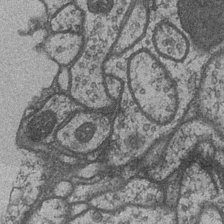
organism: Drosophila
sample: Optic medulla